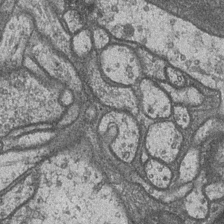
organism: Drosophila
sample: Optic medulla